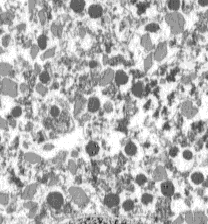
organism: C57BL Mouse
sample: Pancreatic islet